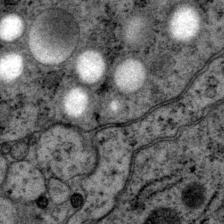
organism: P. pacificus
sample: Pharynx